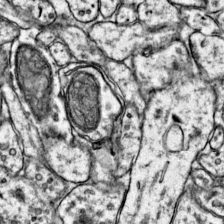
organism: Mouse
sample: Primary visual cortex